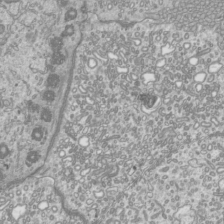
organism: Mouse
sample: Cilia; mouse epididymis